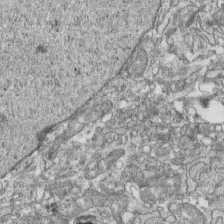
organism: Human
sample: CRL-1474